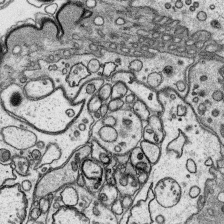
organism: Platynereis dumerilii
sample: Parapodia